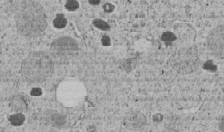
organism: C. elegans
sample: C. elegans embryo early stage